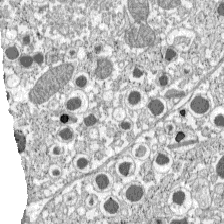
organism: C57BL Mouse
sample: Pancreatic islet